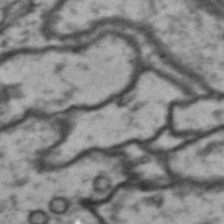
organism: Drosophila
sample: Brain